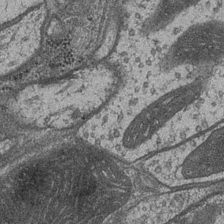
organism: Drosophila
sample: Optic medulla